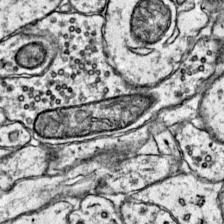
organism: Mouse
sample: Primary visual cortex